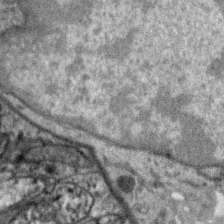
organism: Zebra finch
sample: Brain